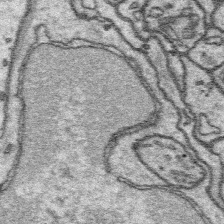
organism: Platynereis dumerilii